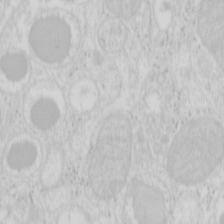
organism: Mouse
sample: Pancreas